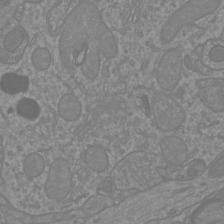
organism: Mouse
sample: Cortical neurons